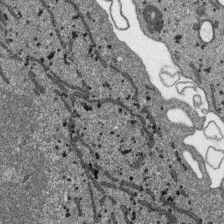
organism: Human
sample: Lung epithelial cells infected with SARS-CoV-2